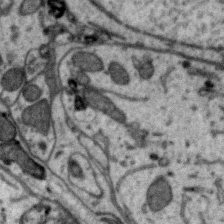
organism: Zebra finch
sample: Brain